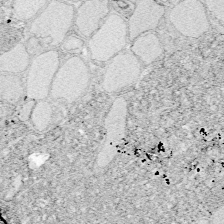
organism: Zebrafish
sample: Whole-Brain